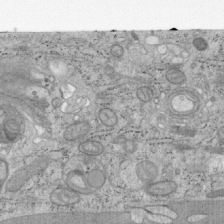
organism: Human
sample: HeLa cells